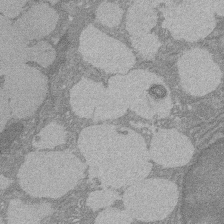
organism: Rat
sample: Salivary granule